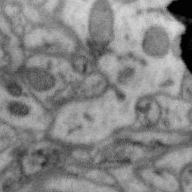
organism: Zebra finch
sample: Brain